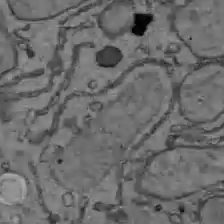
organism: C57BL Mouse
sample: Liver